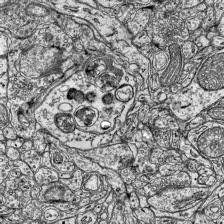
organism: Mouse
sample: Visual Cortex